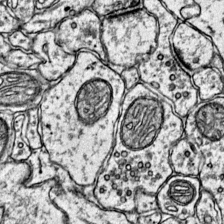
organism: Mouse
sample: Primary visual cortex